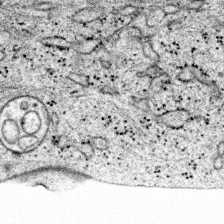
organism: Human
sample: HeLa cells